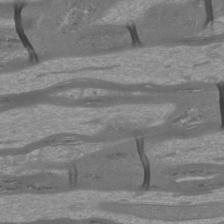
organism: Mouse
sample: Cortical neurons